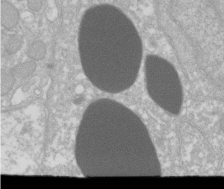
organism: Xenopus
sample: Cilia; centrioles in frog embryo cells